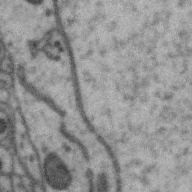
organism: Zebra finch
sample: Brain